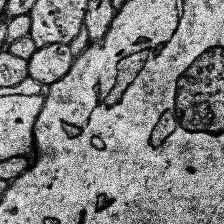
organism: Human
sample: Temporal Lobe